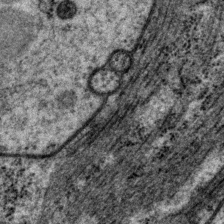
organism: P. pacificus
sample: Pharynx